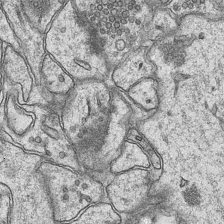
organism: Mouse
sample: CA1 Hippocampus